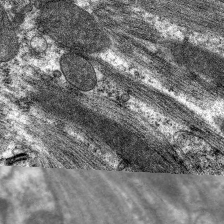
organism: C. elegans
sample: Pharynx